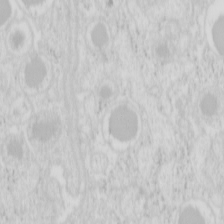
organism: Mouse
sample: Pancreas